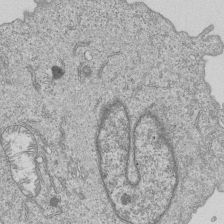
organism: Human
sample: MDA-MB-231 cells